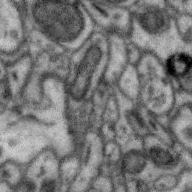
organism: Zebra finch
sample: Brain